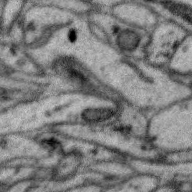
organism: Zebra finch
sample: Brain